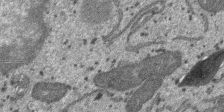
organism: Human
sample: Lung epithelial cells infected with SARS-CoV-2